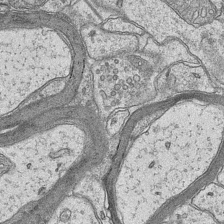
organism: Mouse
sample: CA1 Hippocampus